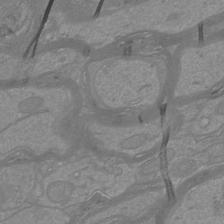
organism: Mouse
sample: Cortical neurons